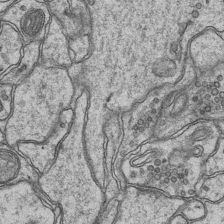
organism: Mouse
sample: CA1 Hippocampus